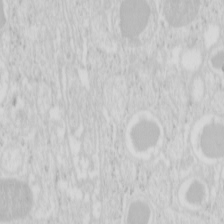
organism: Mouse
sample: Pancreas